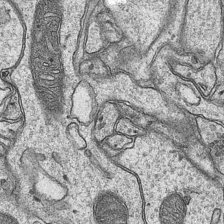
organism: Mouse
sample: CA1 Hippocampus